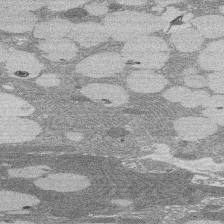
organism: Rat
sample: Salivary granule